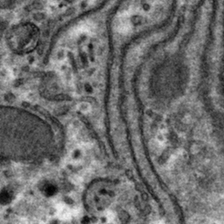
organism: Mouse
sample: Mouse hepatocytes